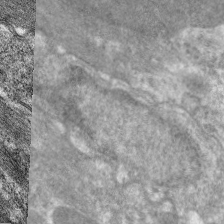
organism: C. elegans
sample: Pharynx